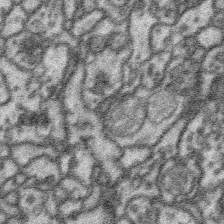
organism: Platynereis dumerilii